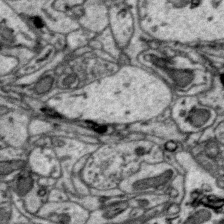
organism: Zebra finch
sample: Brain